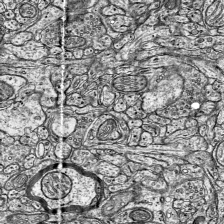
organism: Mouse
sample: Visual Cortex